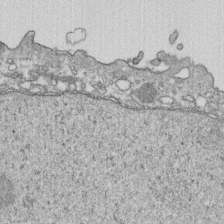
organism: Human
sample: HeLa cell HIV synapse